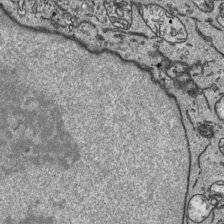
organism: Human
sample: Mitochondria in HCT116 cells